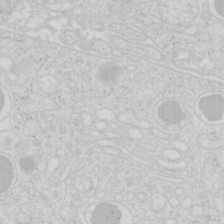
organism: Mouse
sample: Pancreas